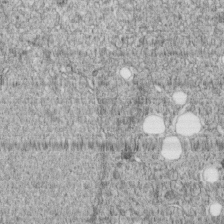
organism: C. elegans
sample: C. elegans embryo early stage